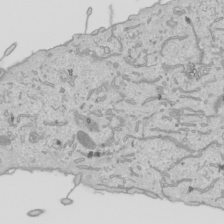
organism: Human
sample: Mitochondria in HCT116 cells